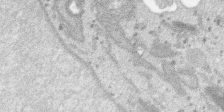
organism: Human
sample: Lung epithelial cells infected with SARS-CoV-2